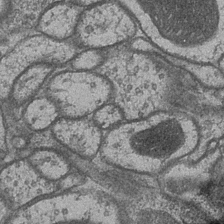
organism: Drosophila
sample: Optic medulla